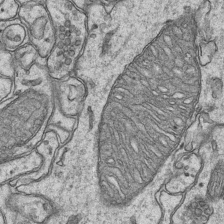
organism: Mouse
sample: CA1 Hippocampus